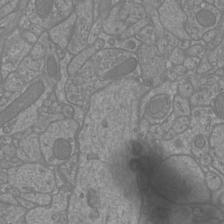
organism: Mouse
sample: Cortical neurons